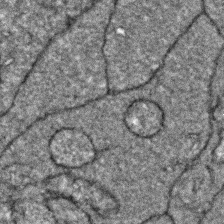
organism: Zebrafish